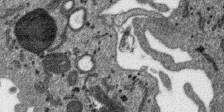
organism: Human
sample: Lung epithelial cells infected with SARS-CoV-2